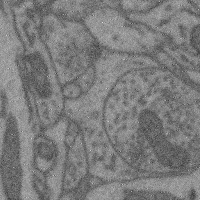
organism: Mouse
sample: Cerebral cortex